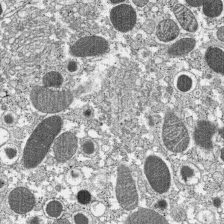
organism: C57BL Mouse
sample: Pancreatic islet